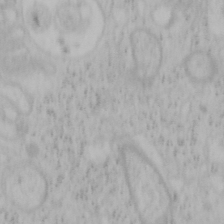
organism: Mouse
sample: OT-I killer T cells with ID8 ovarian cancer cells